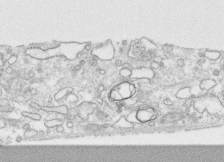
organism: Human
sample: CRL-1474